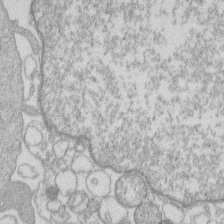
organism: Human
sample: Macrophage cells